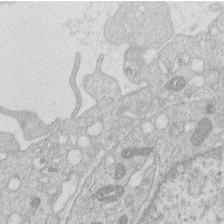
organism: Human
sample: Macrophage cells